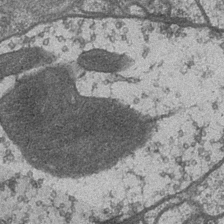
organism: Drosophila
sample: Optic medulla